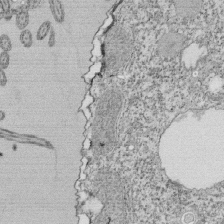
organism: Tetrahymena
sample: Cilia in tetrahymena